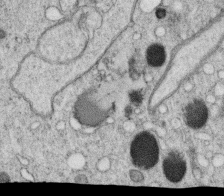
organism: C. elegans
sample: C. elegans oocyte; sperm cells